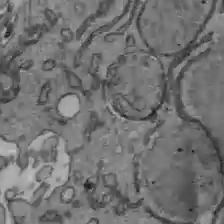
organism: C57BL Mouse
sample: Liver